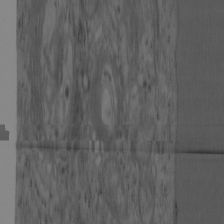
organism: Human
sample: HeLa cells